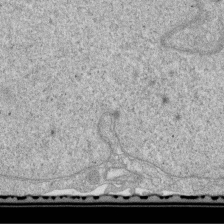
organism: Human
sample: HeLa cell HIV synapse